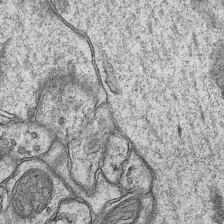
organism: Mouse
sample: CA1 Hippocampus